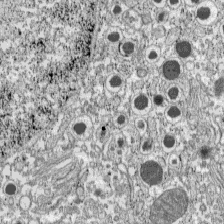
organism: C57BL Mouse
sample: Pancreatic islet